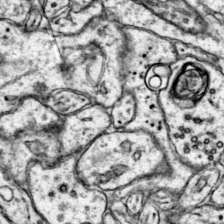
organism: Mouse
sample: Primary visual cortex